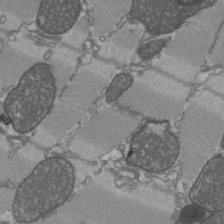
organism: C57BL Mouse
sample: Heart